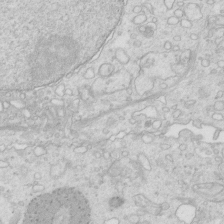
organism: Mouse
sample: Multiciliated cells